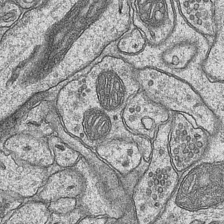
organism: Mouse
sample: CA1 Hippocampus